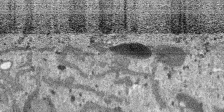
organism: Human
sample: Lung epithelial cells infected with SARS-CoV-2